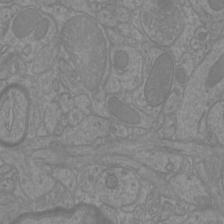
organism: Mouse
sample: Cortical neurons